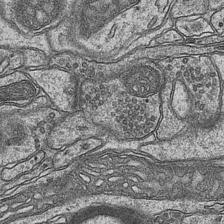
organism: Mouse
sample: CA1 Hippocampus